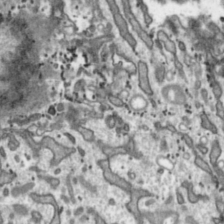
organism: Toxoplasma gondii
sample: Parasites in a vacuole inside a host cell